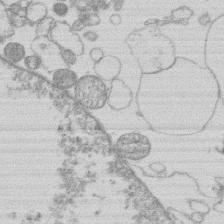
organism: Human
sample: Macrophage cells